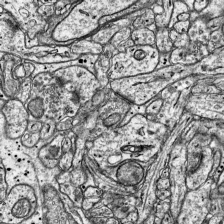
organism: Mouse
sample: Visual Cortex